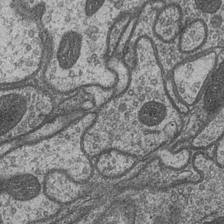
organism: Drosophila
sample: Optic medulla